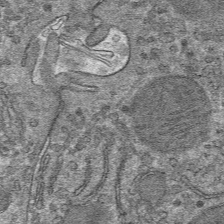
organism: Mouse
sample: Mouse hepatocytes